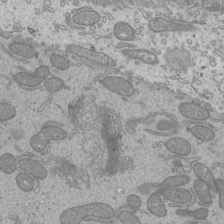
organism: Mouse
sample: Cilia; mouse epididymis